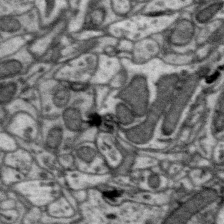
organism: Zebra finch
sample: Brain